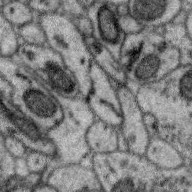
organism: Zebra finch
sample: Brain